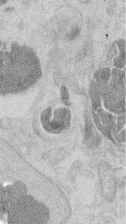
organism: Mouse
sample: T cell stromal cell synapse